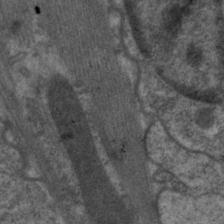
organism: C. elegans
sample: Pharynx